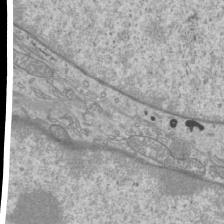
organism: Mouse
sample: Cilia; mouse epididymis